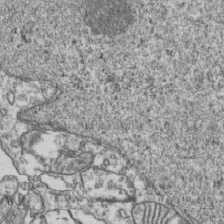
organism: Human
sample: Activated Jurkat CD4+ T cells